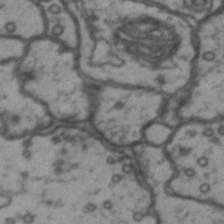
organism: Drosophila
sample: Brain